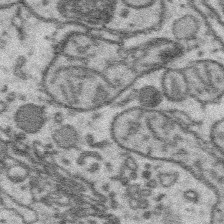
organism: Platynereis dumerilii